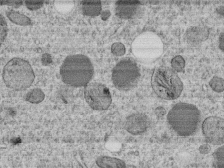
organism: C. elegans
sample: C. elegans embryo early stage